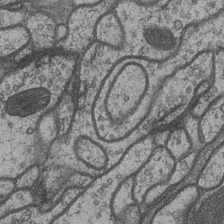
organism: Drosophila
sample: Optic medulla